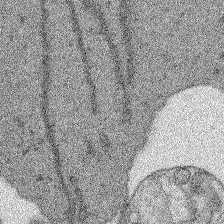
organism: Human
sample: HeLa cells